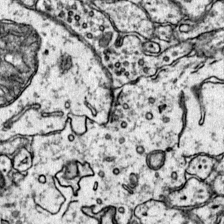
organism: Mouse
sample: Primary visual cortex